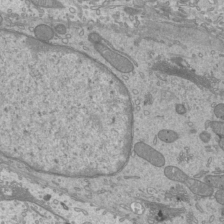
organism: Mouse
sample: Cilia; mouse epididymis